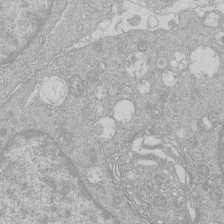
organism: Human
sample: Macrophage cells